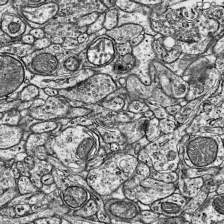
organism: Mouse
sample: Visual Cortex